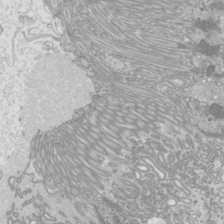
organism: Mouse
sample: Cilia; mouse epididymis